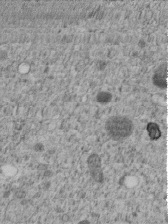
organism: C. elegans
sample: C. elegans embryo early stage